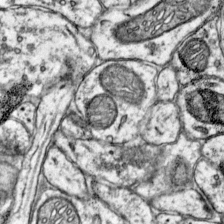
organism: Mouse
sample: Primary visual cortex